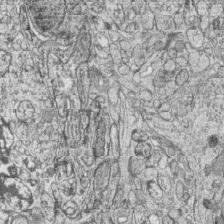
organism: Zebrafish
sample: synaptic ribbons in rod cells and cone cells